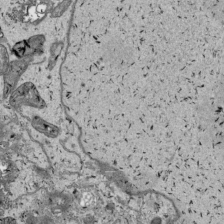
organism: Human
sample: Mitochondria in HCT116 cells